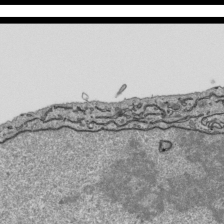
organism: Human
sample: Mitochondria in HCT116 cells